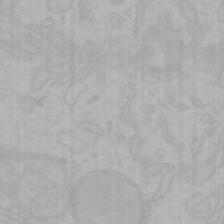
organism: Mouse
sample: Choroid plexus